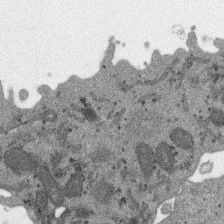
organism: Human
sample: Lung epithelial cells infected with SARS-CoV-2